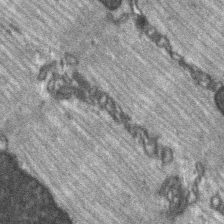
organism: C57BL Mouse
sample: Soleus